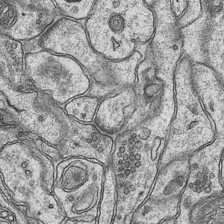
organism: Mouse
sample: CA1 Hippocampus